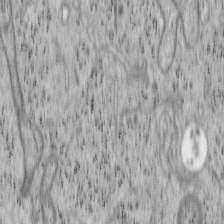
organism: Human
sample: HeLa cells